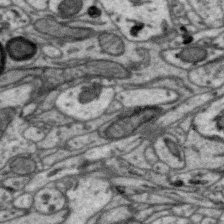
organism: Zebra finch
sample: Brain